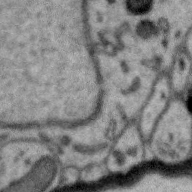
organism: Zebra finch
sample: Brain